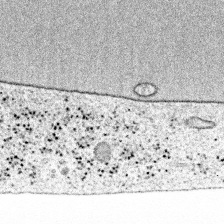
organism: Human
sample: HeLa cells